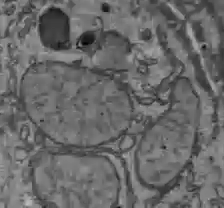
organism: C57BL Mouse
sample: Liver